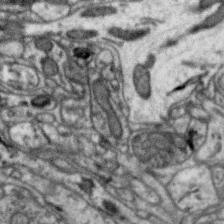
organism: Zebra finch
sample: Brain